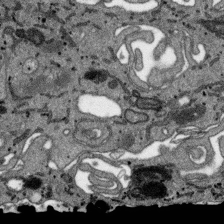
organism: Human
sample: Lung epithelial cells, uninfected (mock) control